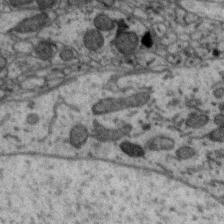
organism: Zebra finch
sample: Brain